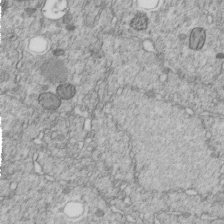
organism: C. elegans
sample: C. elegans embryo early stage